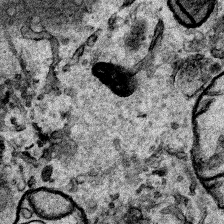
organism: Human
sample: Mitochondria in HCT116 cells